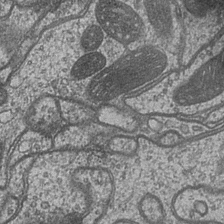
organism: Drosophila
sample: Optic medulla